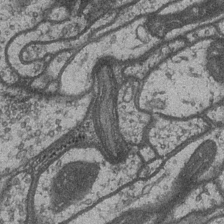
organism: Drosophila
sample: Optic medulla